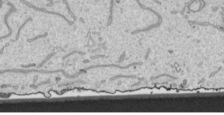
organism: Human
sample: Mitochondria in HCT116 cells